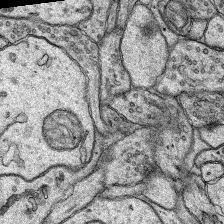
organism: Rat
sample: Hippocampus